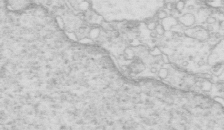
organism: Mouse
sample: Multiciliated cells